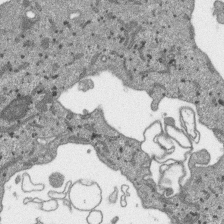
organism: Human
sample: Lung epithelial cells infected with SARS-CoV-2